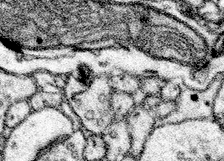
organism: Mouse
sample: Somatosensory cortex neuropil